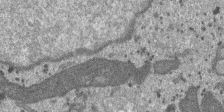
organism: Human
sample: Lung epithelial cells infected with SARS-CoV-2